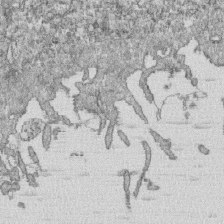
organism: Human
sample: HeLa cell HIV synapse